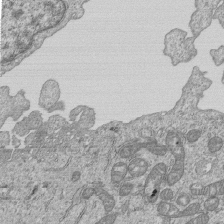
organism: Human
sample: MDA-MB-231 cells